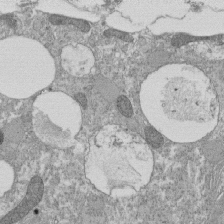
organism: Tetrahymena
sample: Cilia in tetrahymena